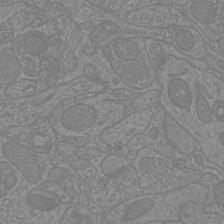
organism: Mouse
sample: Cortical neurons